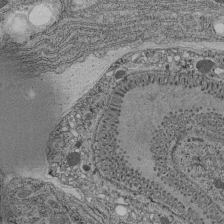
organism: C. elegans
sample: C. elegans pharynx